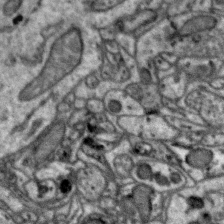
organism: Zebra finch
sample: Brain